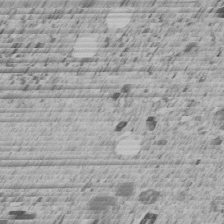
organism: C. elegans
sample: C. elegans embryo early stage